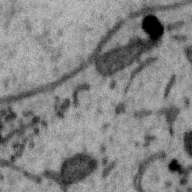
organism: Zebra finch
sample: Brain